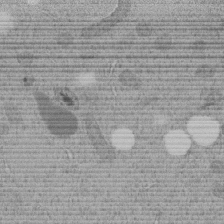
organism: C. elegans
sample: C. elegans embryo early stage